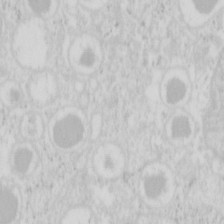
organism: Mouse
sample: Pancreas